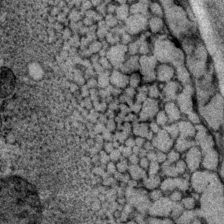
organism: P. pacificus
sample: Pharynx